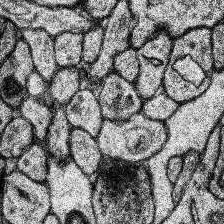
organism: Human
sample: Temporal Lobe